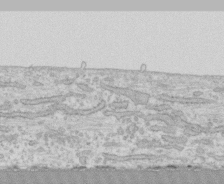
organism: Human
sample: CRL-1474